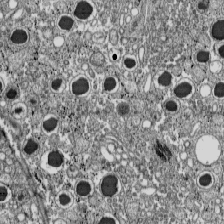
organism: C57BL Mouse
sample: Pancreatic islet